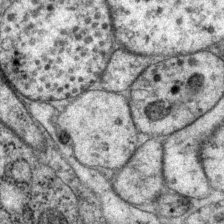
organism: P. pacificus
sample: Pharynx